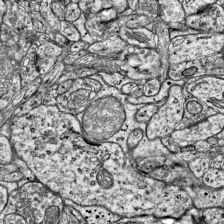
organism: Mouse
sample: Visual Cortex